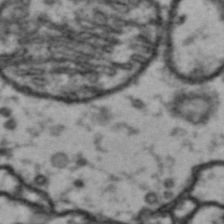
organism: Drosophila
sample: Brain